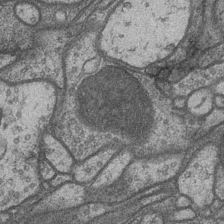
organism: Drosophila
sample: Optic medulla